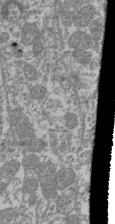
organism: Mouse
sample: Glomerulus